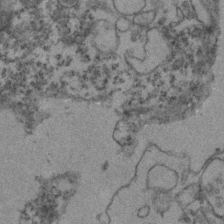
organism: Zebrafish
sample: Zebrafish embryo